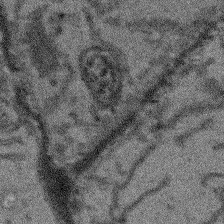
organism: Arabidopsis thaliana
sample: Root tip